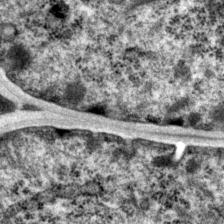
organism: P. pacificus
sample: Pharynx